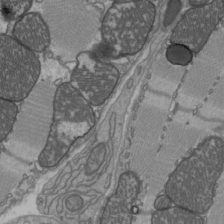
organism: C57BL Mouse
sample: Heart